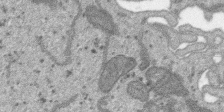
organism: Human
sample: Lung epithelial cells infected with SARS-CoV-2